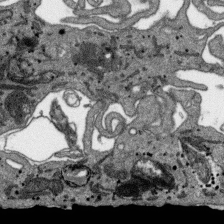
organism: Human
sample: Lung epithelial cells, uninfected (mock) control